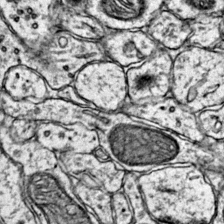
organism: Mouse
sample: Primary visual cortex